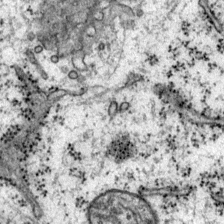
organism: Mouse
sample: Primary visual cortex